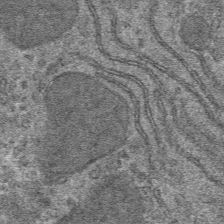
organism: Mouse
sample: Mouse hepatocytes